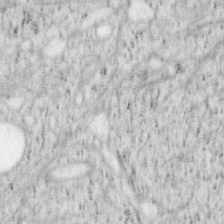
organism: Mouse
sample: OT-I killer T cells with ID8 ovarian cancer cells